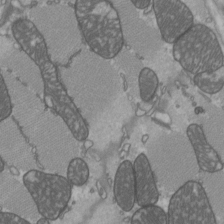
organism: C57BL Mouse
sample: Heart